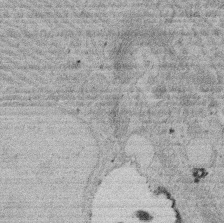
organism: Rat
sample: Salivary granule